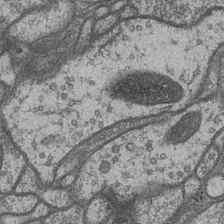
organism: Drosophila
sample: Optic medulla